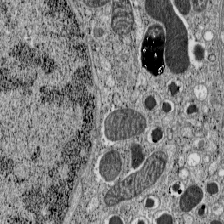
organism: C57BL Mouse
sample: Pancreatic islet